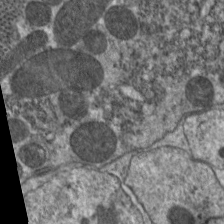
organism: C. elegans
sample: Pharynx